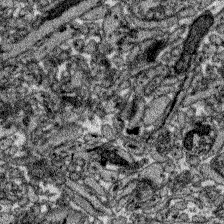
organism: Zebrafish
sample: Larval olfactory bulb